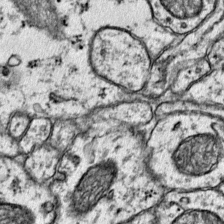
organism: Mouse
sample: Primary visual cortex